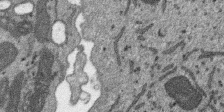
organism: Human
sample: Lung epithelial cells infected with SARS-CoV-2